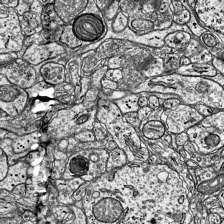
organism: Mouse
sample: Visual Cortex